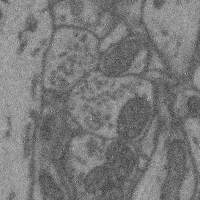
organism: Mouse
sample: Cerebral cortex